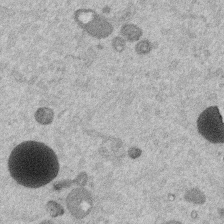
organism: Mouse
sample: Dividing mouse embryo 1 cell stage